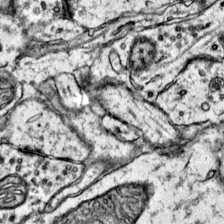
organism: Mouse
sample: Primary visual cortex